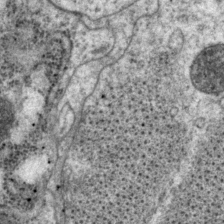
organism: P. pacificus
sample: Pharynx